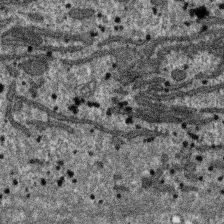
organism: Human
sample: Lung epithelial cells infected with SARS-CoV-2